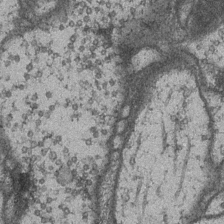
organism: Drosophila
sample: Optic medulla